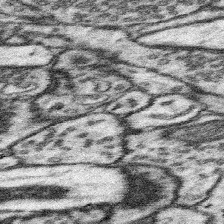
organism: Mouse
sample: Somatosensory cortex neuropil